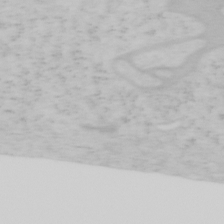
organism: Mouse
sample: OT-I killer T cells with ID8 ovarian cancer cells